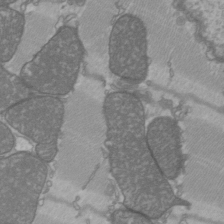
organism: C57BL Mouse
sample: Heart